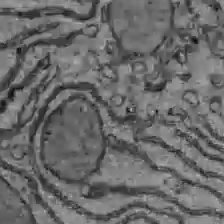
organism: C57BL Mouse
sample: Liver